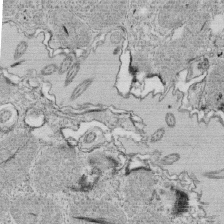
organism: Tetrahymena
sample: Cilia in tetrahymena